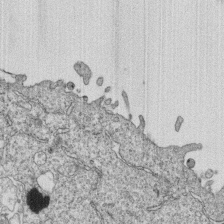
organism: Human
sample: HeLa cell HIV synapse